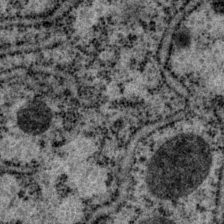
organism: P. pacificus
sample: Pharynx